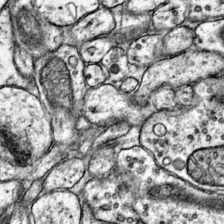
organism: Mouse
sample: Primary visual cortex